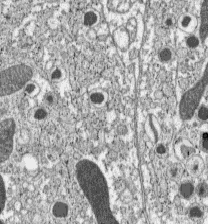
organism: C57BL Mouse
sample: Pancreatic islet